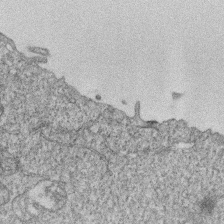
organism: Human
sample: HeLa cell HIV synapse